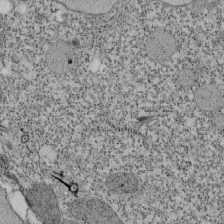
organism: Tetrahymena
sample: Cilia in tetrahymena